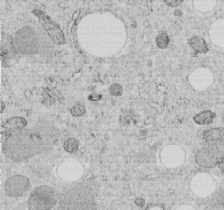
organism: C. elegans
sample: C. elegans embryo early stage